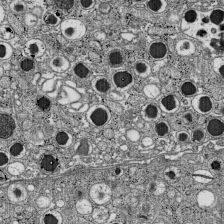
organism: C57BL Mouse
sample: Pancreatic islet